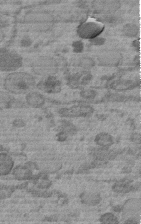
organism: C. elegans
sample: C. elegans embryo early stage